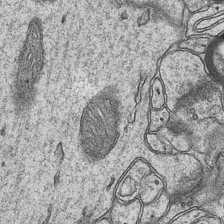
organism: Mouse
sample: CA1 Hippocampus